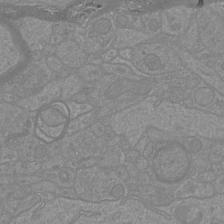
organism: Mouse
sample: Cortical neurons